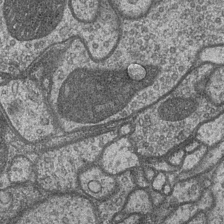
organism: Drosophila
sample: Optic medulla